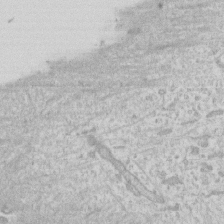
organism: Human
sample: Fibroblast cells